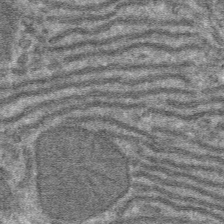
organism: Mouse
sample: Mouse hepatocytes